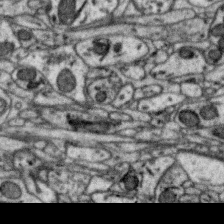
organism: Zebra finch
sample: Brain